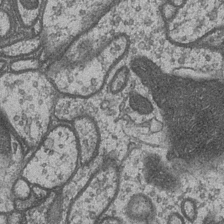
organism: Drosophila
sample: Optic medulla